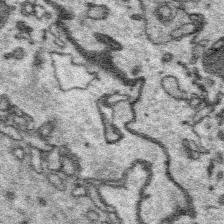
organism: Platynereis dumerilii